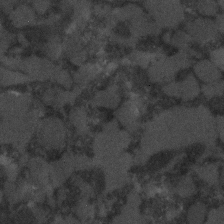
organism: C. elegans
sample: C. elegans embryo